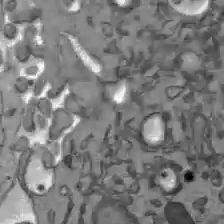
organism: C57BL Mouse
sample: Liver